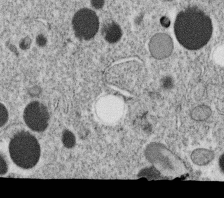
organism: C. elegans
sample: C. elegans oocyte; sperm cells